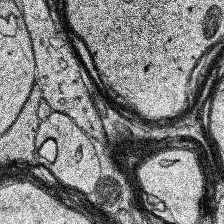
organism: Human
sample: Temporal Lobe